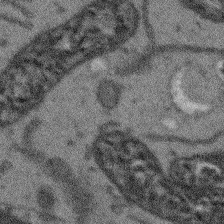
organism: Arabidopsis thaliana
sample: Root tip